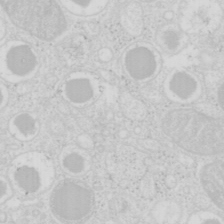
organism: Mouse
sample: Pancreas